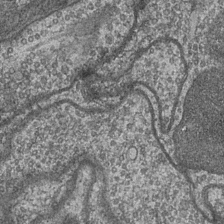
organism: Drosophila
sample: Optic medulla